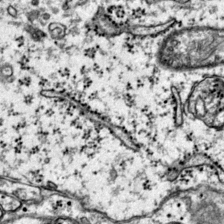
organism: Mouse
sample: Primary visual cortex